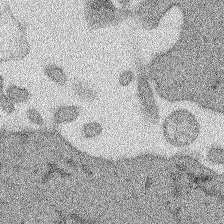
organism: Human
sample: HeLa cells